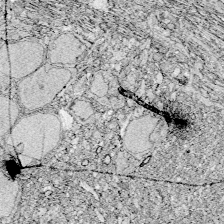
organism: Zebrafish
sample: Whole-Brain